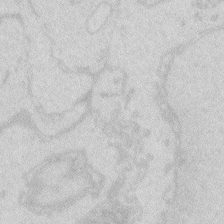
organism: Zebrafish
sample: Macrophage